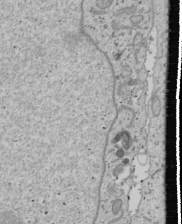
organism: Human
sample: Mitochondria in U2OS cells